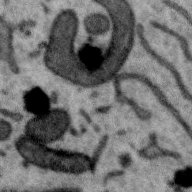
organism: Zebra finch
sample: Brain